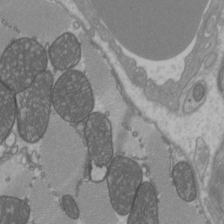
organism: C57BL Mouse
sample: Heart